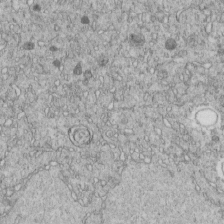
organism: C. elegans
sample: C. elegans embryo early stage